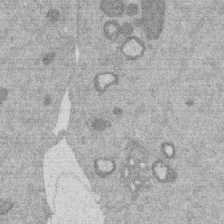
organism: Mouse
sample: Dividing mouse embryo 1 cell stage